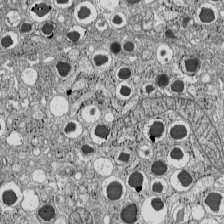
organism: C57BL Mouse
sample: Pancreatic islet